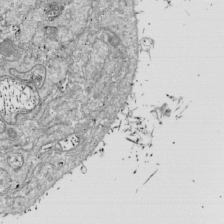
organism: Drosophila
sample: Cell division; meiosis; drosophila spermatocytes